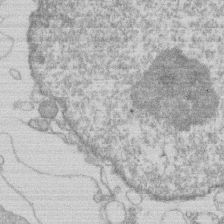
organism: Human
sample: Macrophage cells